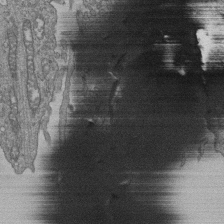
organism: Human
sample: Retinal organoid Rod and Cone cells